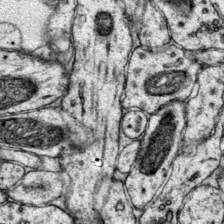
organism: Mouse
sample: Primary visual cortex